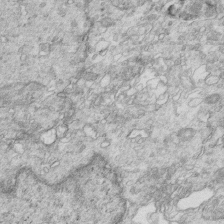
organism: Mouse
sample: Multiciliated cells